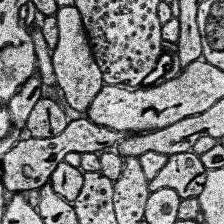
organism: Human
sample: Temporal Lobe